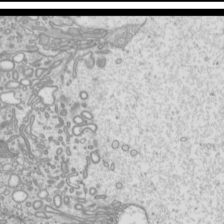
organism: Mouse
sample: Cilia; mouse epididymis